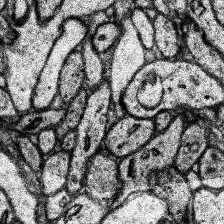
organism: Human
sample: Temporal Lobe